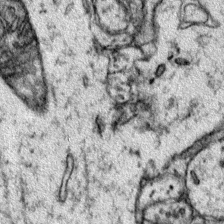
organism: Mouse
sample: Primary visual cortex